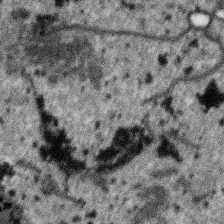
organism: Human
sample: Lung epithelial cells infected with SARS-CoV-2